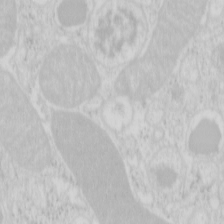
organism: Mouse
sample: Pancreas